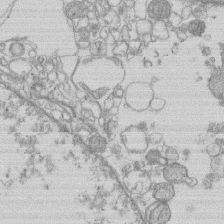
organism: Human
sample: Macrophage cells